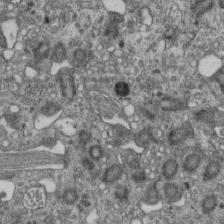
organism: Mouse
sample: Centriole in ependymal cells